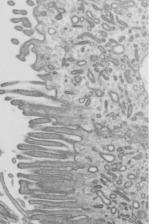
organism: Mouse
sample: Mouse epididymis efferent ductule cilia